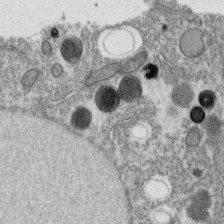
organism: C. elegans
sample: C. elegans oocyte; sperm cells